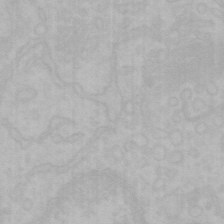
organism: Mouse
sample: Choroid plexus